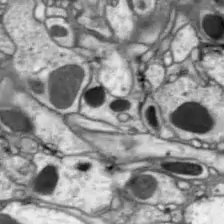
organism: Drosophila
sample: Optic lobe